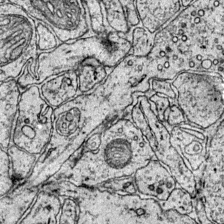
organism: Mouse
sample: Primary visual cortex